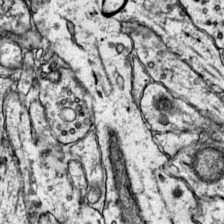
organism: Mouse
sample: Primary visual cortex